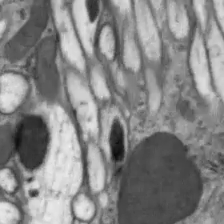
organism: Drosophila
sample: Optic lobe